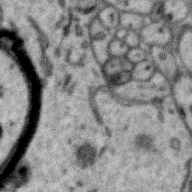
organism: Zebra finch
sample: Brain